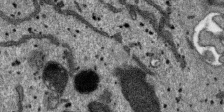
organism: Human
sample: Lung epithelial cells, uninfected (mock) control